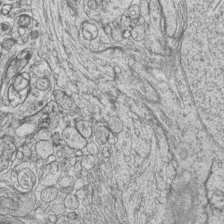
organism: Zebrafish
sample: synaptic ribbons in rod cells and cone cells